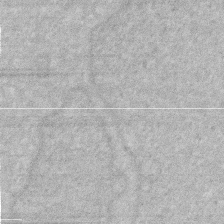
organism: Human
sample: HIV infected U937 cells